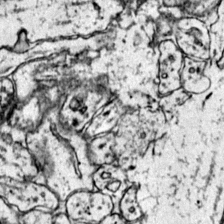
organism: Mouse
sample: Primary visual cortex